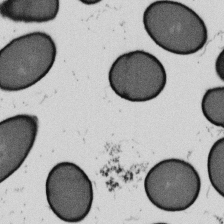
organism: B. subtilis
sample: Bacterial spore